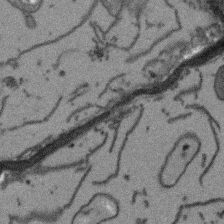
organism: Arabidopsis thaliana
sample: Root tip